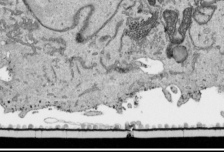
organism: Human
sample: Mitochondria in HCT116 cells